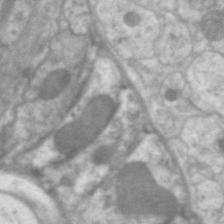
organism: C. elegans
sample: Pharynx